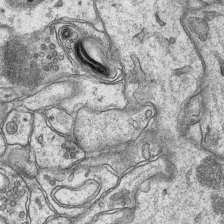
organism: Mouse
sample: CA1 Hippocampus